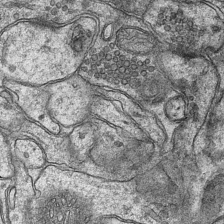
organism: Mouse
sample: CA1 Hippocampus